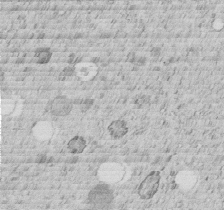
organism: C. elegans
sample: C. elegans embryo early stage